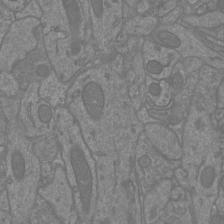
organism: Mouse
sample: Cortical neurons